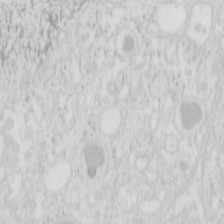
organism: Mouse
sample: Pancreas